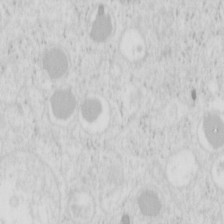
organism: Mouse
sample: Pancreas